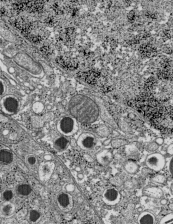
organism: C57BL Mouse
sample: Pancreatic islet